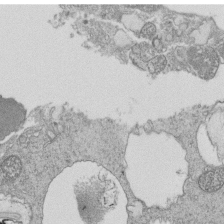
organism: Tetrahymena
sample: Cilia in tetrahymena